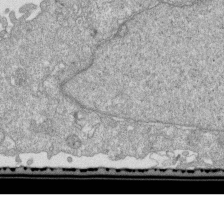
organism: Human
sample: HeLa cell HIV synapse